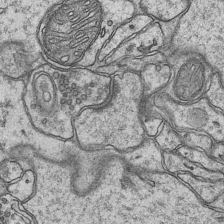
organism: Mouse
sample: CA1 Hippocampus